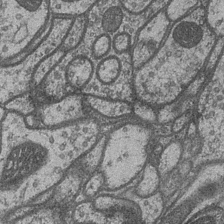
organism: Drosophila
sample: Optic medulla